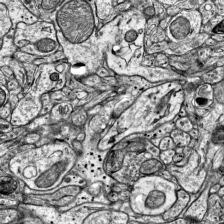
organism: Mouse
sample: Visual Cortex